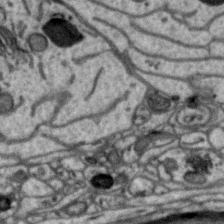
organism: Zebra finch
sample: Brain